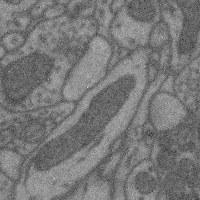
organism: Mouse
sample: Cerebral cortex